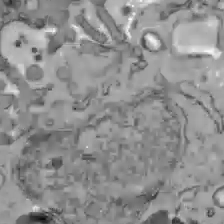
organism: C57BL Mouse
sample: Liver